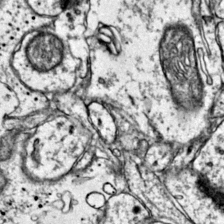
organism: Mouse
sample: Primary visual cortex